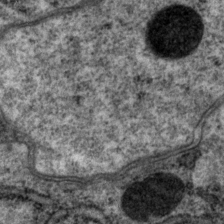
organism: P. pacificus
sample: Pharynx